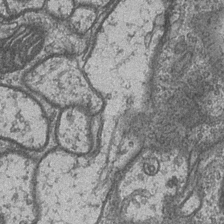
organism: Drosophila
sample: Optic medulla